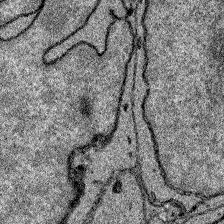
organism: Zebrafish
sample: Larval olfactory bulb